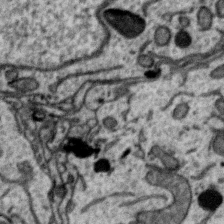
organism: Zebra finch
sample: Brain